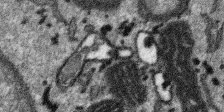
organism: Human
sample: Lung epithelial cells infected with SARS-CoV-2